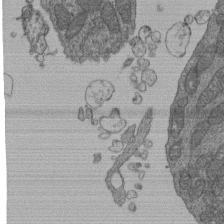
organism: Human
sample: Retinal organoid Rod and Cone cells